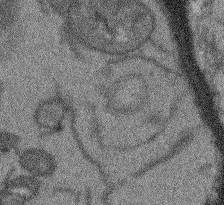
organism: Arabidopsis thaliana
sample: Root tip